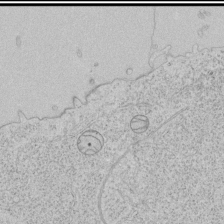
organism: Human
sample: Mitochondria in HCT116 cells